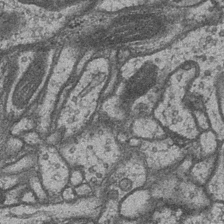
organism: Drosophila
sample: Optic medulla